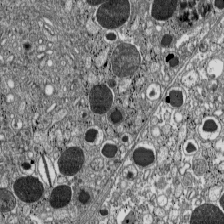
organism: C57BL Mouse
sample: Pancreatic islet